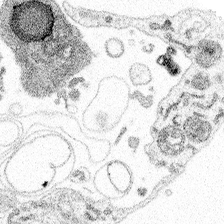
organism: Spongilla lacustris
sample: Multiple